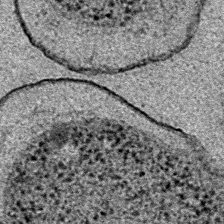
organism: E. coli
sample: E. Coli Bacteria